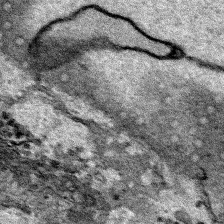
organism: Human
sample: Mitochondria in HCT116 cells